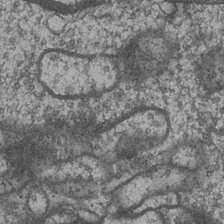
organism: Drosophila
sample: Optic medulla